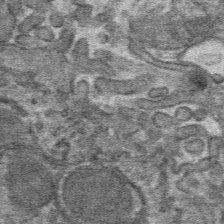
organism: Mouse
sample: Mouse hepatocytes